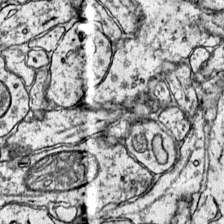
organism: Mouse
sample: Primary visual cortex